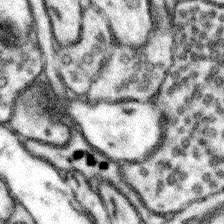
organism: Mouse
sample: Somatosensory cortex neuropil